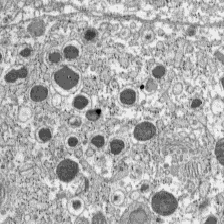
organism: C57BL Mouse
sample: Pancreatic islet